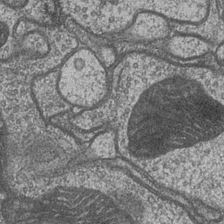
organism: Drosophila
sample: Optic medulla